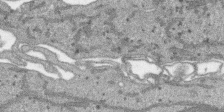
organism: Human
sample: Lung epithelial cells infected with SARS-CoV-2